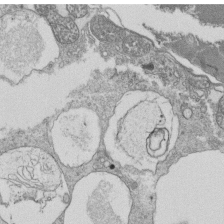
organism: Tetrahymena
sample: Cilia in tetrahymena